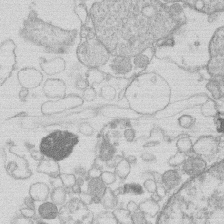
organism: Human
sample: Macrophage cells